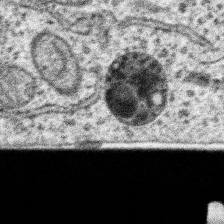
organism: Human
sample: HeLa cells